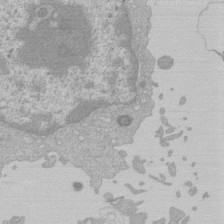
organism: Mouse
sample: Activated Pmel transgenic CD8+ T Cells